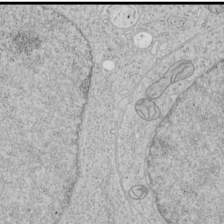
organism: Human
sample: Mitochondria in HCT116 cells